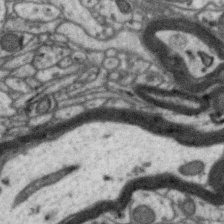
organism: Zebra finch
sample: Brain